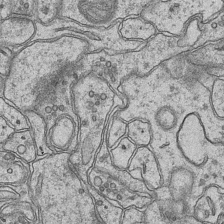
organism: Mouse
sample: CA1 Hippocampus